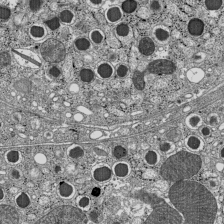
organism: C57BL Mouse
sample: Pancreatic islet